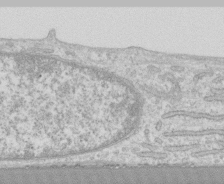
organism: Human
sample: CRL-1474